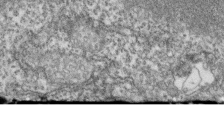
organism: Zebrafish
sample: Cilia; retinal pigment epithelium